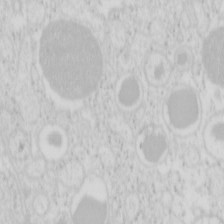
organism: Mouse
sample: Pancreas